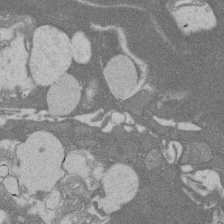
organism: Rat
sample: Salivary granule